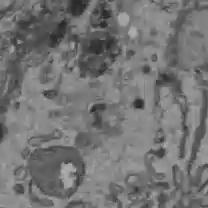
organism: C57BL Mouse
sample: Liver